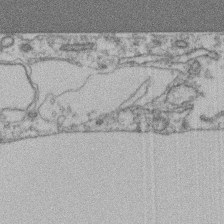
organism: Mouse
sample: T cell stromal cell synapse